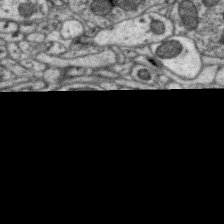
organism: Zebra finch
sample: Brain